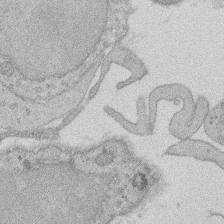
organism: Rat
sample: Salivary granule